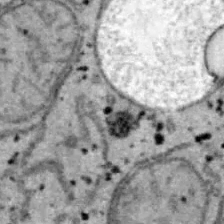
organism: Mouse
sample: Liver from an obese (ob/ob) mouse